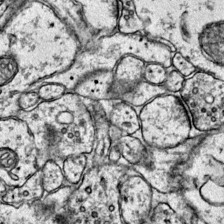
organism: Mouse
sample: Primary visual cortex